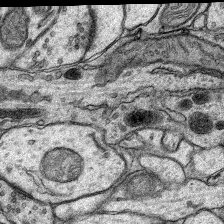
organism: Rat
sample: Hippocampus